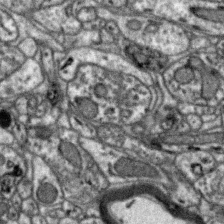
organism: Zebra finch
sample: Brain